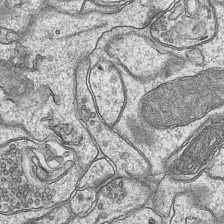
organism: Mouse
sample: CA1 Hippocampus